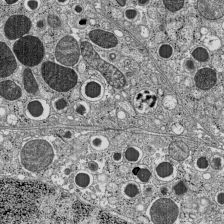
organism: C57BL Mouse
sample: Pancreatic islet